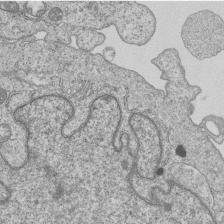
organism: Human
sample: MDA-MB-231 cells